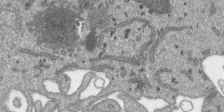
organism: Human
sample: Lung epithelial cells infected with SARS-CoV-2